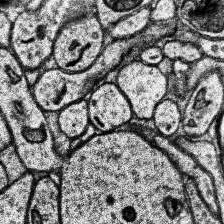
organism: Human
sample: Temporal Lobe